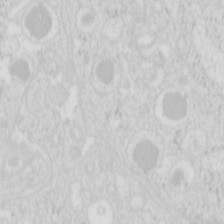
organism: Mouse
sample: Pancreas